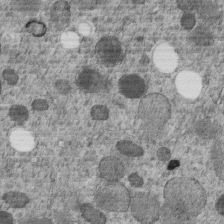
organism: C. elegans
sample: C. elegans embryo early stage